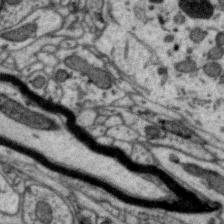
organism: Zebra finch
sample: Brain